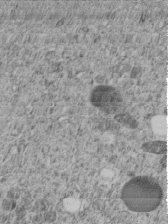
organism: C. elegans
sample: C. elegans embryo early stage